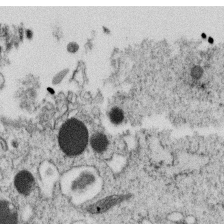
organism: C. elegans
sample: C. elegans oocyte; sperm cells